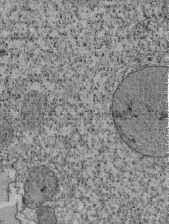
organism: Tetrahymena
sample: Cilia in tetrahymena